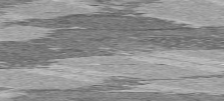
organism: C57BL Mouse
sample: Heart